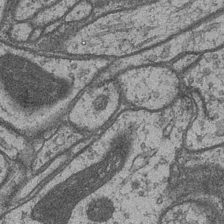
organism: Drosophila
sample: Optic medulla